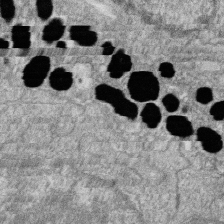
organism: Zebrafish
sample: Cilia; retinal pigment epithelium